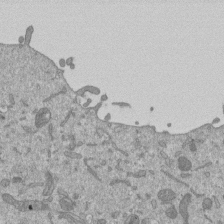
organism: Mouse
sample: ED-1 cell nuclei; centrioles